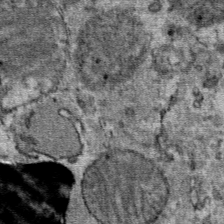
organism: Mouse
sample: Mouse Salivary gland